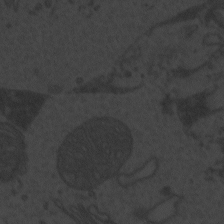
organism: Zebrafish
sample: Macrophage infected with Toxoplasma gondii